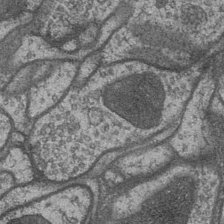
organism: Drosophila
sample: Optic medulla